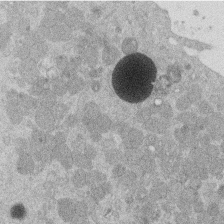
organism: Mouse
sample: Dividing mouse embryo 1 cell stage